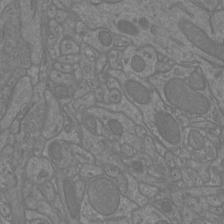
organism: Mouse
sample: Cortical neurons